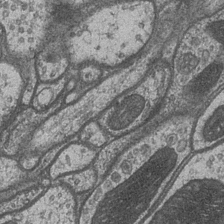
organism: Drosophila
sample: Optic medulla